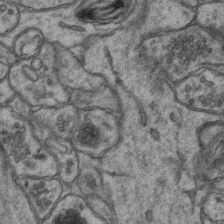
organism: Mouse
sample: CA1 Hippocampus